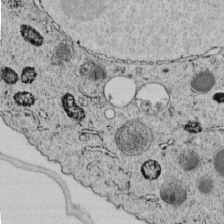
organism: C. elegans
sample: C. elegans embryo early stage